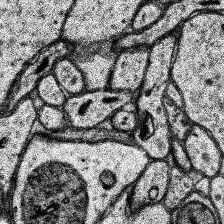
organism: Human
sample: Temporal Lobe